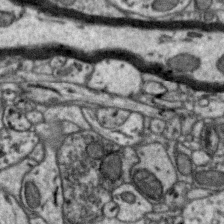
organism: Zebra finch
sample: Brain